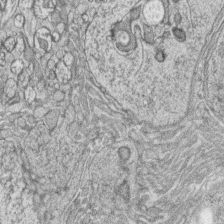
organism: Zebrafish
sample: synaptic ribbons in rod cells and cone cells